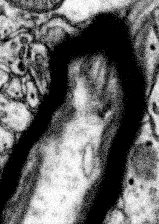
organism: Mouse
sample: Somatosensory cortex neuropil